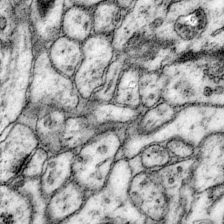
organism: Mouse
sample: Primary visual cortex